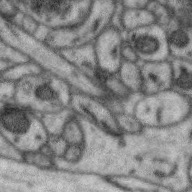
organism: Zebra finch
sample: Brain